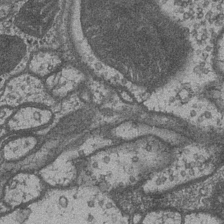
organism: Drosophila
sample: Optic medulla